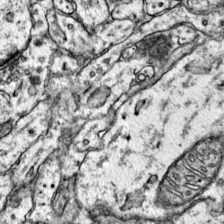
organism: Mouse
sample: Primary visual cortex